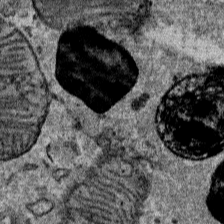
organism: Mouse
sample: Mouse Salivary gland